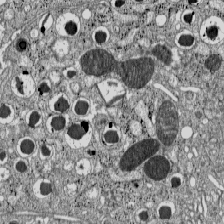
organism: C57BL Mouse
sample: Pancreatic islet